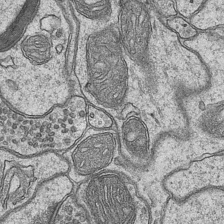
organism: Mouse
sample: CA1 Hippocampus